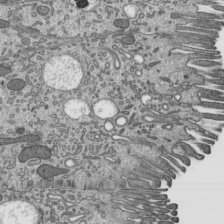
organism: Mouse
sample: Mouse epididymis efferent ductule cilia